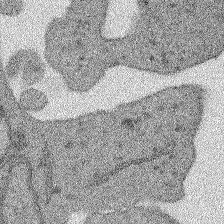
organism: Human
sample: HeLa cells